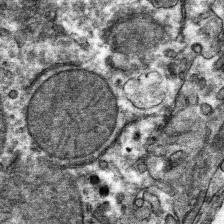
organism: Mouse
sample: Mouse hepatocytes